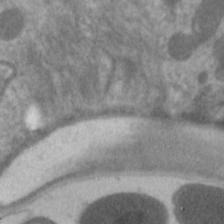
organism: C. elegans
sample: Pharynx